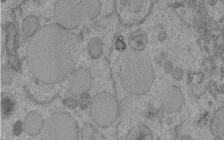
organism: C. elegans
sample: C. elegans embryo early stage